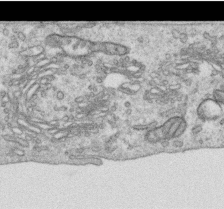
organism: Human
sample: Centriole in RPE cells